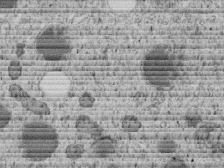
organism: C. elegans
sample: C. elegans embryo early stage